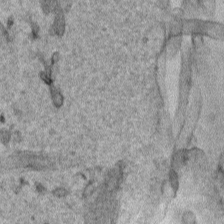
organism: Human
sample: Mitochondria in HCT116 cells